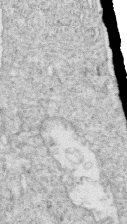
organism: Human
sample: HeLa cell HIV synapse